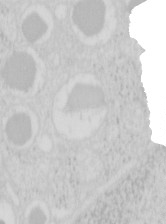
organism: Mouse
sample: Pancreas